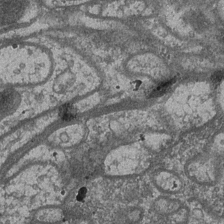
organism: Drosophila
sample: Optic medulla